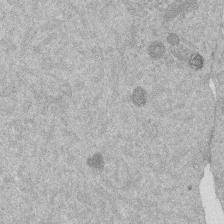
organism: Mouse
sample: Dividing mouse embryo 1 cell stage